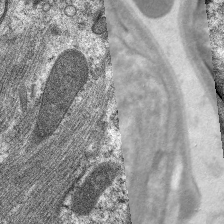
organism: C. elegans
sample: Pharynx